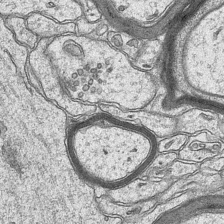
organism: Mouse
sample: CA1 Hippocampus